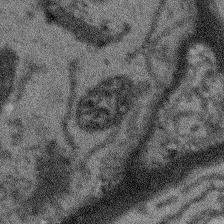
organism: Arabidopsis thaliana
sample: Root tip